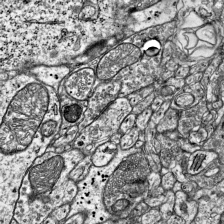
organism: Mouse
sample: Visual Cortex